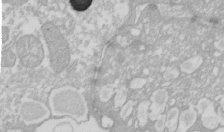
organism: Xenopus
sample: Cilia; centrioles in frog embryo cells